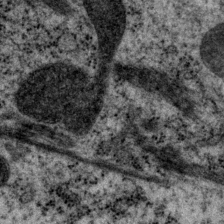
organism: P. pacificus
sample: Pharynx